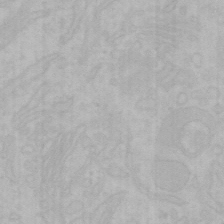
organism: Mouse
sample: Choroid plexus